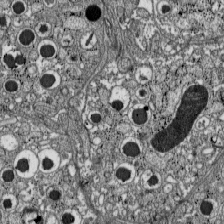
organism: C57BL Mouse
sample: Pancreatic islet